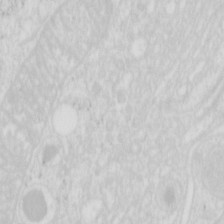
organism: Mouse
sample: Pancreas